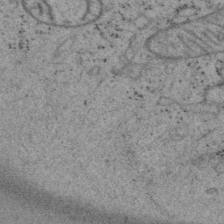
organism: Human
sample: HeLa cells